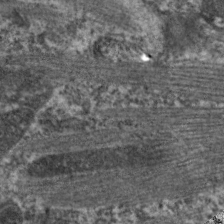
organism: C. elegans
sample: Pharynx